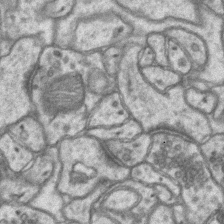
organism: Mouse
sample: CA1 Hippocampus